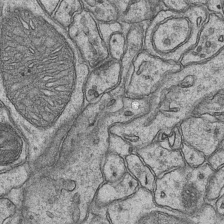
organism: Mouse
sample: CA1 Hippocampus